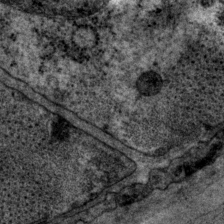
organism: P. pacificus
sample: Pharynx